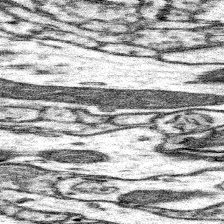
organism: Mouse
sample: Somatosensory cortex neuropil